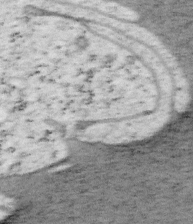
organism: Mouse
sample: OT-I killer T cells with ID8 ovarian cancer cells